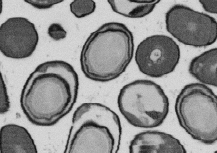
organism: B. subtilis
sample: Bacterial spore